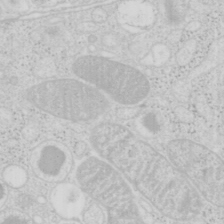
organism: Mouse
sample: Pancreas